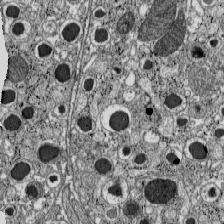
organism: C57BL Mouse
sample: Pancreatic islet